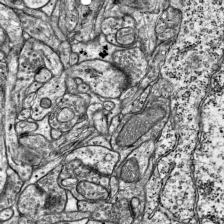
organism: Mouse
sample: Visual Cortex